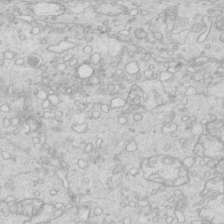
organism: Mouse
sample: Multiciliated cells